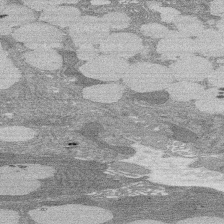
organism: Rat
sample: Salivary granule